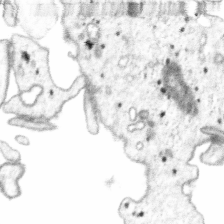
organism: Human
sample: HeLa cells